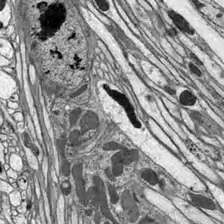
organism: Drosophila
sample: Optic lobe